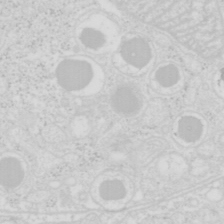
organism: Mouse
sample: Pancreas